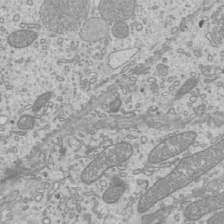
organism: Mouse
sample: Cilia; mouse epididymis